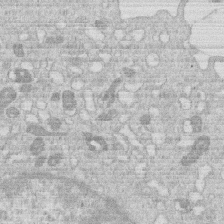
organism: Human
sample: Macrophage cells